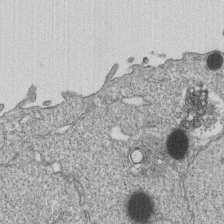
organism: Human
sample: HeLa cell HIV synapse